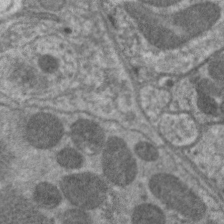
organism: C. elegans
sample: Pharynx